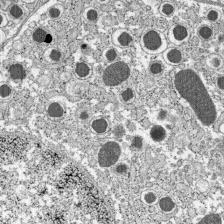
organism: C57BL Mouse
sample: Pancreatic islet